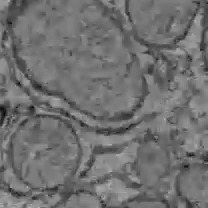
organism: C57BL Mouse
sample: Liver